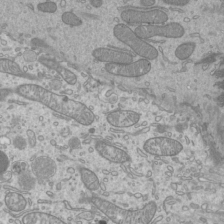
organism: Mouse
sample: Cilia; mouse epididymis